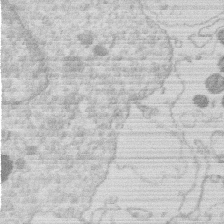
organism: Human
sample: Macrophage cells